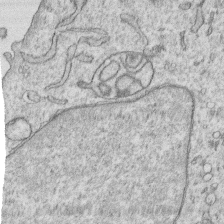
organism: Human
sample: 1205lu cells